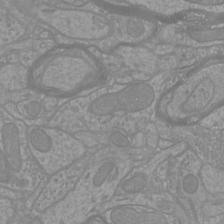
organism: Mouse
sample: Cortical neurons